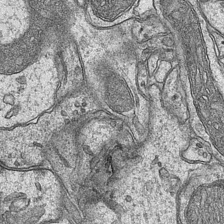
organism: Mouse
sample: CA1 Hippocampus